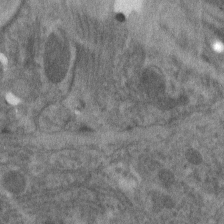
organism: C. elegans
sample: Pharynx